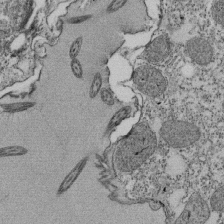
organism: Tetrahymena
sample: Cilia in tetrahymena